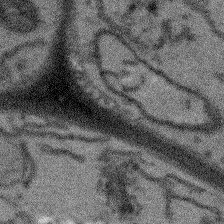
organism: Arabidopsis thaliana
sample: Root tip